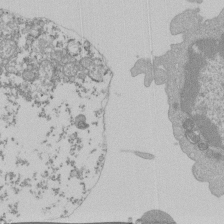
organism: Mouse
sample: Activated Pmel transgenic CD8+ T Cells